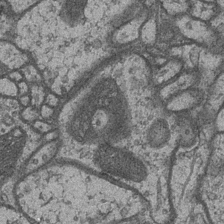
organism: Drosophila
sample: Optic medulla